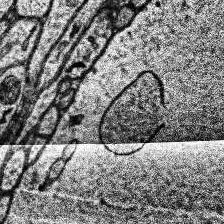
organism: Human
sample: Temporal Lobe